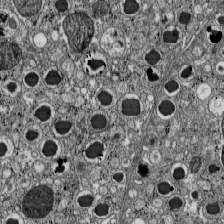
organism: C57BL Mouse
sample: Pancreatic islet